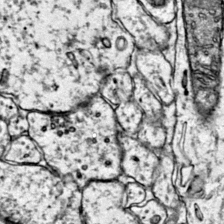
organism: Mouse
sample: Primary visual cortex